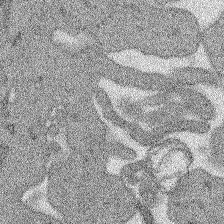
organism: Human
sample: HeLa cells